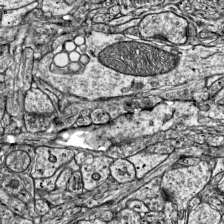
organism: Mouse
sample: Visual Cortex